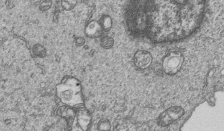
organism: Human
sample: MDA-MB-231 cells